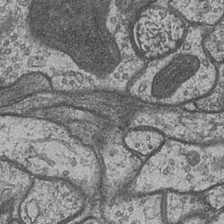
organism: Drosophila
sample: Optic medulla